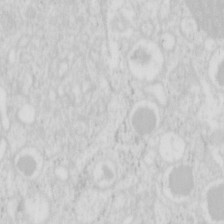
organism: Mouse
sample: Pancreas